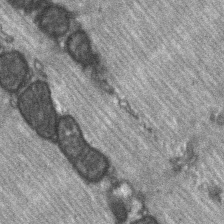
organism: C57BL Mouse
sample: Soleus